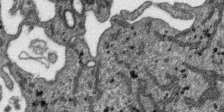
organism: Human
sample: Lung epithelial cells infected with SARS-CoV-2